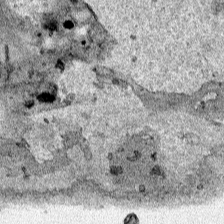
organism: Human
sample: Mitochondria in HCT116 cells